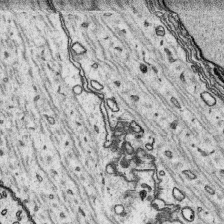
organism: Platynereis dumerilii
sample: Parapodia